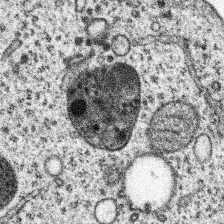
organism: Human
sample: HeLa cells